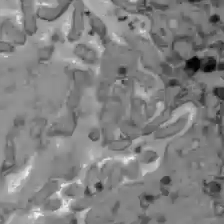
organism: C57BL Mouse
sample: Liver